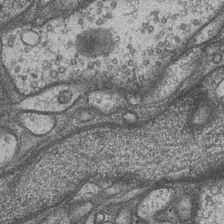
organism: Drosophila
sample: Optic medulla